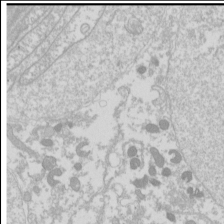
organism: Drosophila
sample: Cell division; meiosis; drosophila spermatocytes